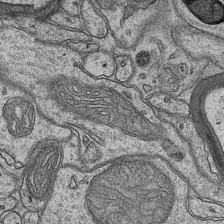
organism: Mouse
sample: CA1 Hippocampus